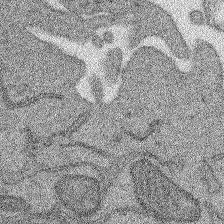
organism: Human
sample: HeLa cells